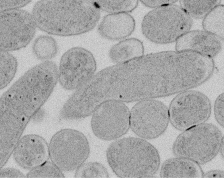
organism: E. coli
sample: Bacterial nucleoid